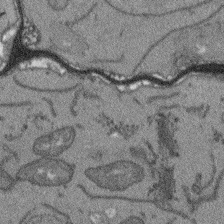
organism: Arabidopsis thaliana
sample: Root tip